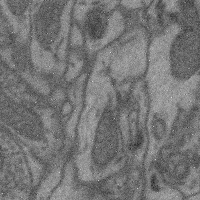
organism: Mouse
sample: Cerebral cortex